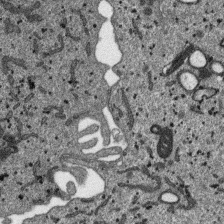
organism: Human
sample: Lung epithelial cells infected with SARS-CoV-2